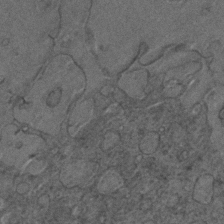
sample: Trachea